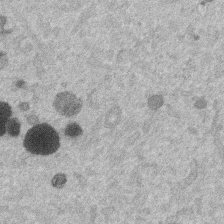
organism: Mouse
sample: Dividing mouse embryo 1 cell stage